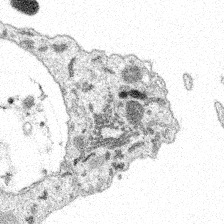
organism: Spongilla lacustris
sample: Multiple